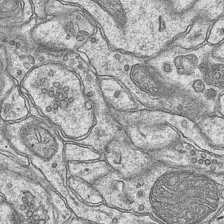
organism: Mouse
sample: CA1 Hippocampus